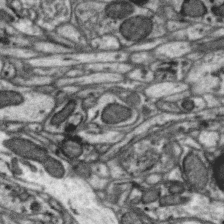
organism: Zebra finch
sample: Brain